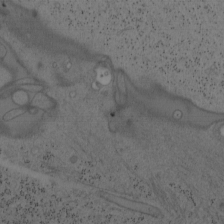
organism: Mouse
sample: OT-I killer T cells with ID8 ovarian cancer cells